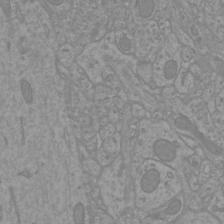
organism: Mouse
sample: Cortical neurons